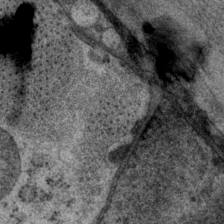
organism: P. pacificus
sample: Pharynx